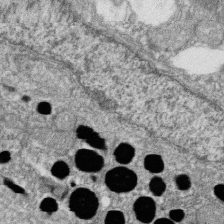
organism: Zebrafish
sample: Cilia; retinal pigment epithelium